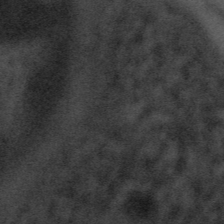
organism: Tuwongella immobilis